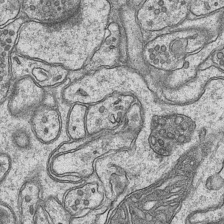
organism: Mouse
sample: CA1 Hippocampus